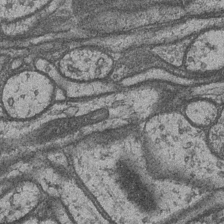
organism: Drosophila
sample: Optic medulla